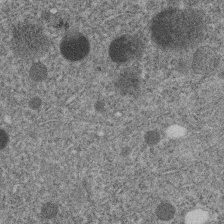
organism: C. elegans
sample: C. elegans embryo early stage